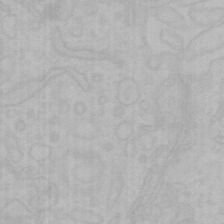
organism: Mouse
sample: Choroid plexus